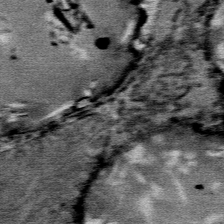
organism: Mouse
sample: Mouse Salivary gland